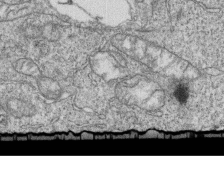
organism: Human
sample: HeLa cell HIV synapse